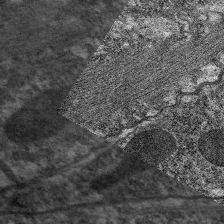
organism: C. elegans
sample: Pharynx